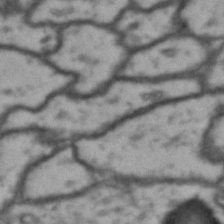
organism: Drosophila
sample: Brain